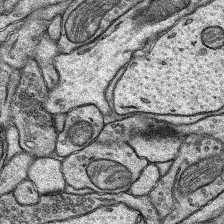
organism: Rat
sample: Hippocampus